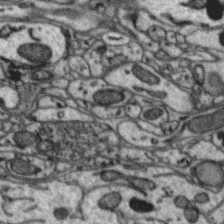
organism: Zebra finch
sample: Brain